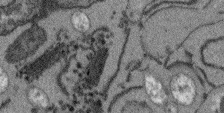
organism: Arabidopsis thaliana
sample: Root tip